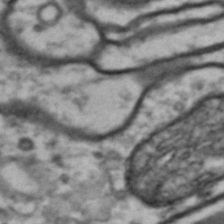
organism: Drosophila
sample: Brain